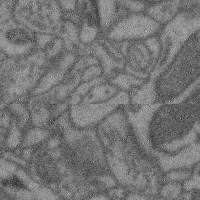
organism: Mouse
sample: Cerebral cortex